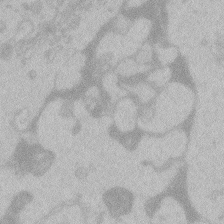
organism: Zebrafish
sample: Macrophage infected with Toxoplasma gondii